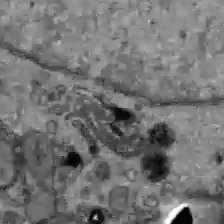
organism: C57BL Mouse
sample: Liver